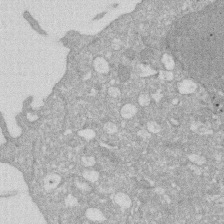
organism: Human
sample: HIV infected U937 cells